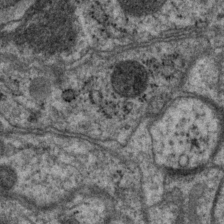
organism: P. pacificus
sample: Pharynx